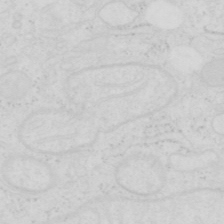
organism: Human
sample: SUM-159 cell